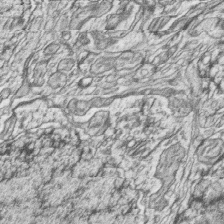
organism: Zebrafish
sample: synaptic ribbons in rod cells and cone cells